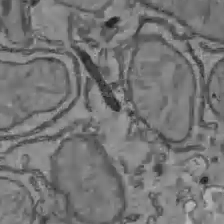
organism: C57BL Mouse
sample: Liver